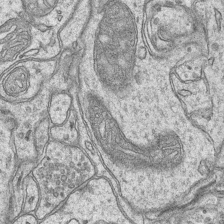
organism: Mouse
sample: CA1 Hippocampus